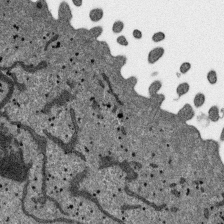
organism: Human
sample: Lung epithelial cells, uninfected (mock) control